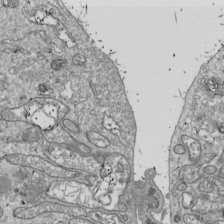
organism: Drosophila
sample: Cell division; meiosis; drosophila spermatocytes